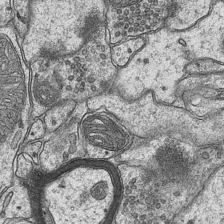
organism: Mouse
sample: CA1 Hippocampus